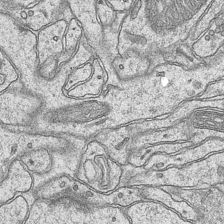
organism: Mouse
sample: CA1 Hippocampus